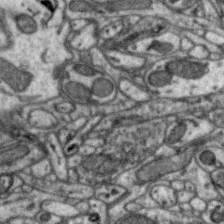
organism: Zebra finch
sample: Brain